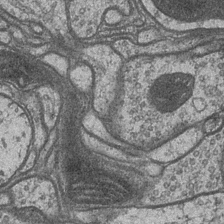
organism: Drosophila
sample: Optic medulla